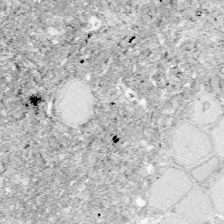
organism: Zebrafish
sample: Whole-Brain